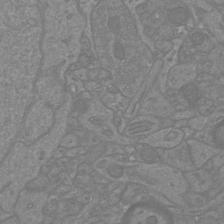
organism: Mouse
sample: Cortical neurons